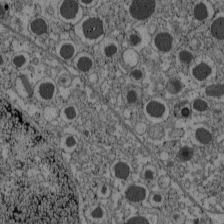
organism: C57BL Mouse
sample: Pancreatic islet